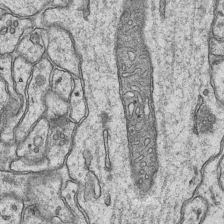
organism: Mouse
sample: CA1 Hippocampus